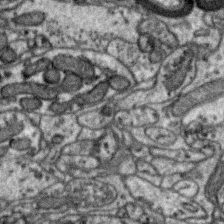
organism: Zebra finch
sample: Brain